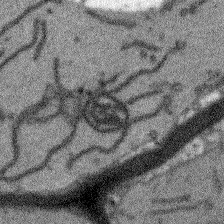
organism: Arabidopsis thaliana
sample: Root tip